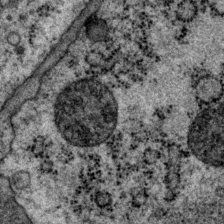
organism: P. pacificus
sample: Pharynx